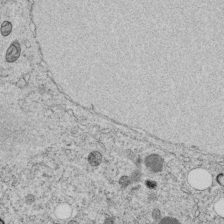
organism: C. elegans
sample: C. elegans embryo early stage